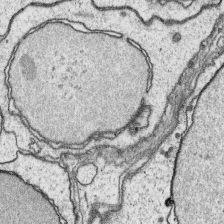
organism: Platynereis dumerilii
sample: Parapodia